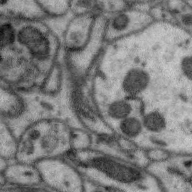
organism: Zebra finch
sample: Brain